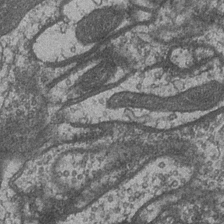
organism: Drosophila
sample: Optic medulla